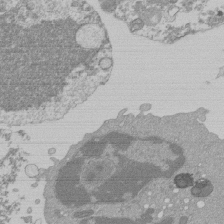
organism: Mouse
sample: Activated Pmel transgenic CD8+ T Cells